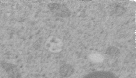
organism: C. elegans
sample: C. elegans embryo early stage